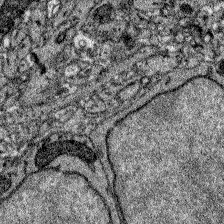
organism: Zebrafish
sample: Larval olfactory bulb